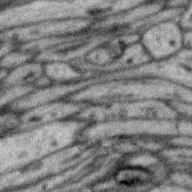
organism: Zebra finch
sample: Brain